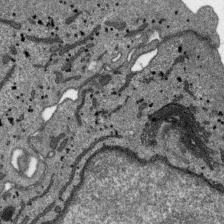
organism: Human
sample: Lung epithelial cells, uninfected (mock) control